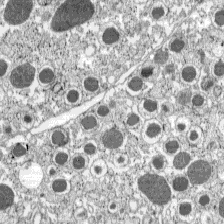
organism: C57BL Mouse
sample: Pancreatic islet